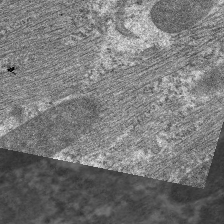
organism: C. elegans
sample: Pharynx